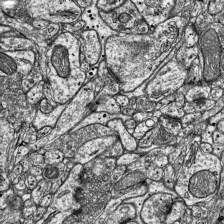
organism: Mouse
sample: Visual Cortex